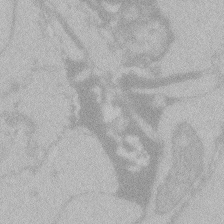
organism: Zebrafish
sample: Macrophage infected with Toxoplasma gondii